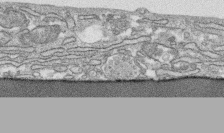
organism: Human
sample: CRL-1474